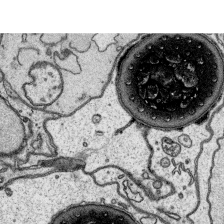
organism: Platynereis dumerilii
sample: Parapodia